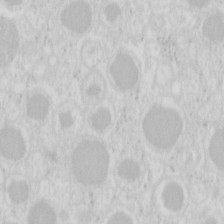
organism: Mouse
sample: Pancreas